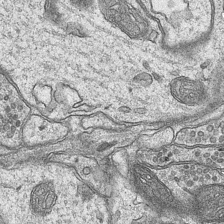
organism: Mouse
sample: CA1 Hippocampus